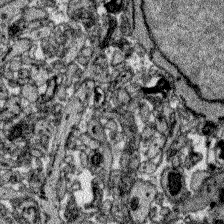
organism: Zebrafish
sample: Larval olfactory bulb